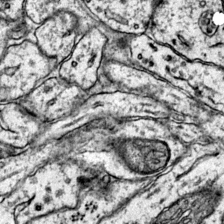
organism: Mouse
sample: Primary visual cortex